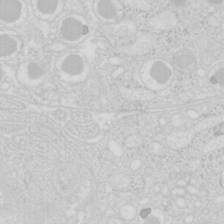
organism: Mouse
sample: Pancreas